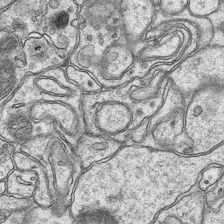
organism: Mouse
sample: CA1 Hippocampus